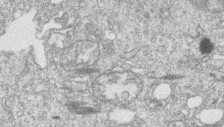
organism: Human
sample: HeLa cell HIV synapse